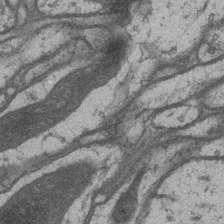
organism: Drosophila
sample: Optic medulla